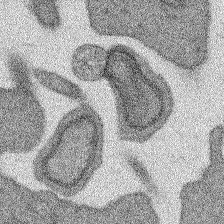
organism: Human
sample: HeLa cells